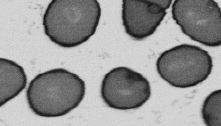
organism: B. subtilis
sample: Bacterial spore